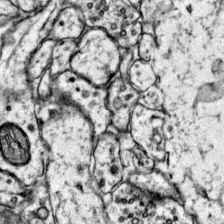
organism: Mouse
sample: Primary visual cortex